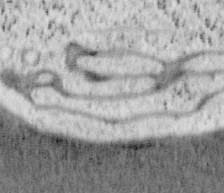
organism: Mouse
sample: OT-I killer T cells with ID8 ovarian cancer cells